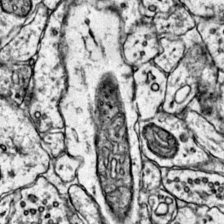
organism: Mouse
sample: Primary visual cortex